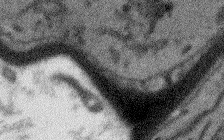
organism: Arabidopsis thaliana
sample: Root tip